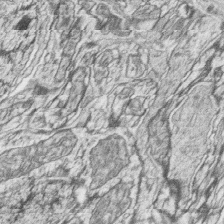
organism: Zebrafish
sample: synaptic ribbons in rod cells and cone cells